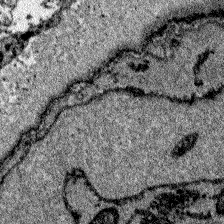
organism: Zebrafish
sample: Larval olfactory bulb